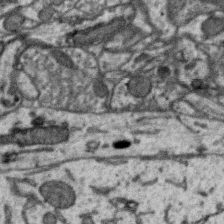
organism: Zebra finch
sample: Brain